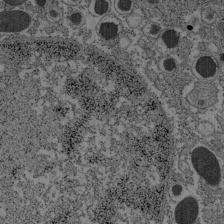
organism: C57BL Mouse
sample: Pancreatic islet